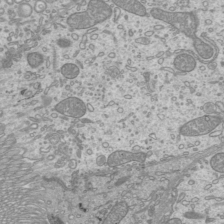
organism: Mouse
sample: Cilia; mouse epididymis